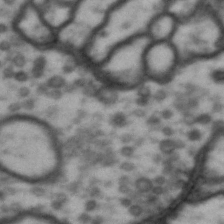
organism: Drosophila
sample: Brain